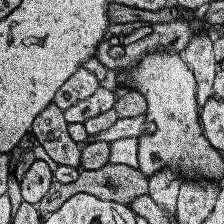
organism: Human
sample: Temporal Lobe